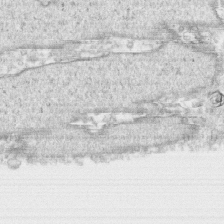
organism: Human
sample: CRL-1474